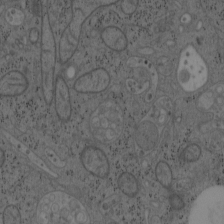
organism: Mouse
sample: OT-I killer T cells with ID8 ovarian cancer cells